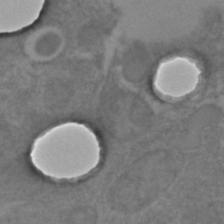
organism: C. elegans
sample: C. elegans embryo